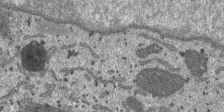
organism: Human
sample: Lung epithelial cells infected with SARS-CoV-2